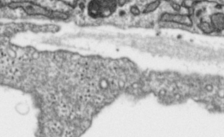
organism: Toxoplasma gondii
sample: Parasites in a vacuole inside a host cell